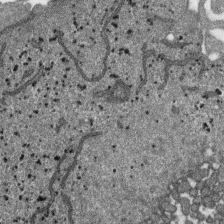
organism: Human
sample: Lung epithelial cells infected with SARS-CoV-2